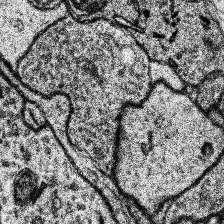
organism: Human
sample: Temporal Lobe